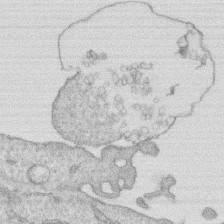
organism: Human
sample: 1205lu cells